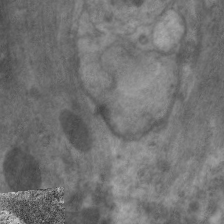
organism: C. elegans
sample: Pharynx